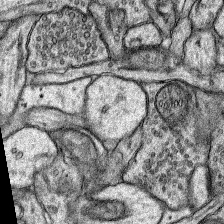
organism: Rat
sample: Hippocampus